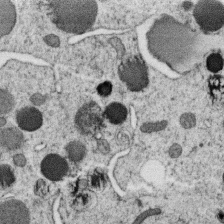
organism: C. elegans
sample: C. elegans oocyte; sperm cells